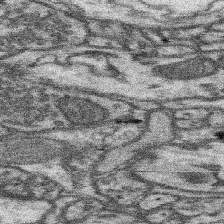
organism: Mouse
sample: Somatosensory cortex neuropil